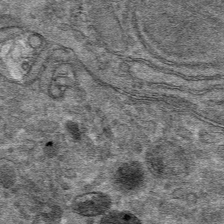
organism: Mouse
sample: Mouse hepatocytes